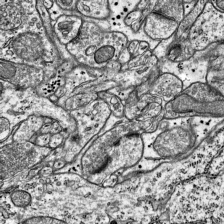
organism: Mouse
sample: Visual Cortex